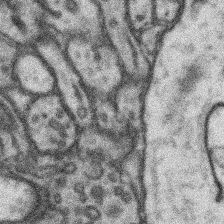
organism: Mouse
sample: Somatosensory cortex neuropil